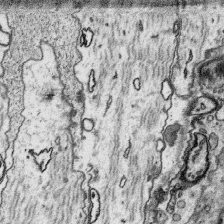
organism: Platynereis dumerilii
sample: Parapodia